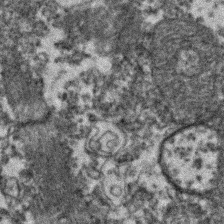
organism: Zebrafish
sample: Zebrafish embryo